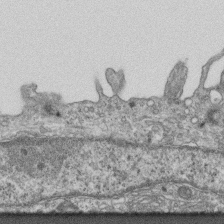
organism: Mouse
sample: Centriole in ependymal cells